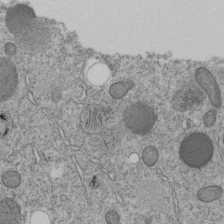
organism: C. elegans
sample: C. elegans embryo early stage